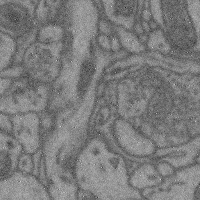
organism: Mouse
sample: Cerebral cortex